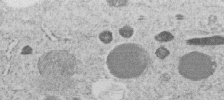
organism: C. elegans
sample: C. elegans embryo early stage